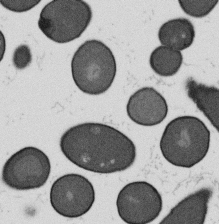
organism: B. subtilis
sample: Bacterial spore